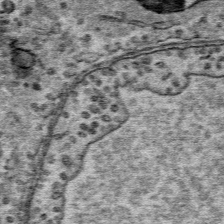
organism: Mouse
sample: Mouse Salivary gland